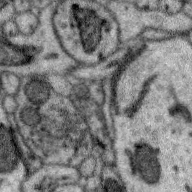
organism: Zebra finch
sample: Brain